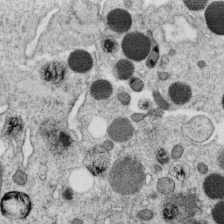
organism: C. elegans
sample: C. elegans oocyte; sperm cells